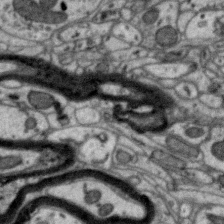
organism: Zebra finch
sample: Brain